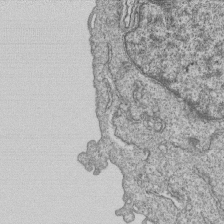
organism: Human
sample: MDA-MB-231 cells